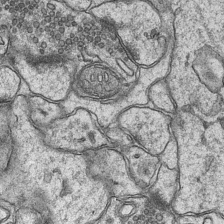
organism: Mouse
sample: CA1 Hippocampus